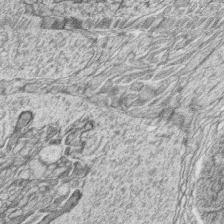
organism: Zebrafish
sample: synaptic ribbons in rod cells and cone cells